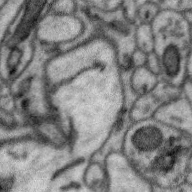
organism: Zebra finch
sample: Brain